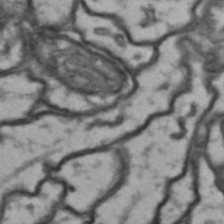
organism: Drosophila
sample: Brain